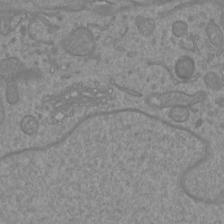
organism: Mouse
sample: Cortical neurons